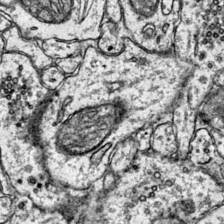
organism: Mouse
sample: Primary visual cortex